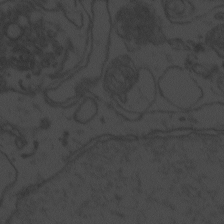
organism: Zebrafish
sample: Macrophage infected with Toxoplasma gondii